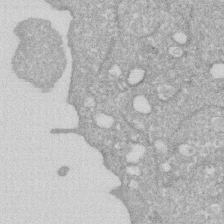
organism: Human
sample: HIV infected U937 cells